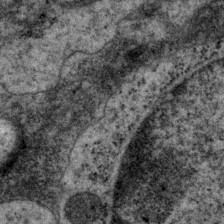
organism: P. pacificus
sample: Pharynx